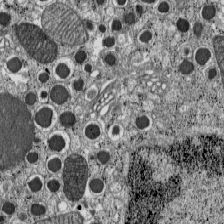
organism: C57BL Mouse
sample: Pancreatic islet